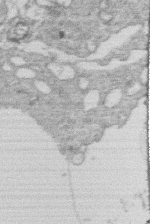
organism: Human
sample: Macrophage cells